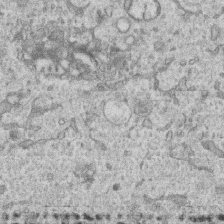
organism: Human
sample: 1205lu cells